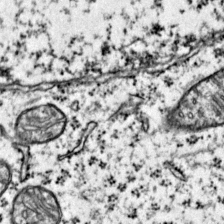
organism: Mouse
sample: Primary visual cortex